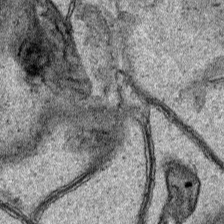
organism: Human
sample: Mitochondria in HCT116 cells